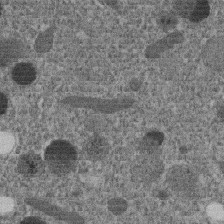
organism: C. elegans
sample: C. elegans embryo early stage